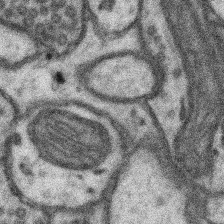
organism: Mouse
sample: Somatosensory cortex neuropil